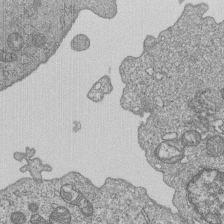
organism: Human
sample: MDA-MB-231 cells